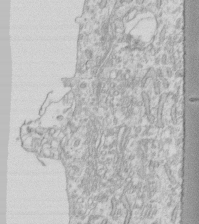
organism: Human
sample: Fibroblast cells